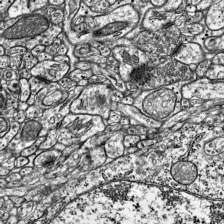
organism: Mouse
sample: Visual Cortex